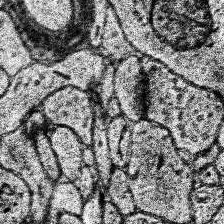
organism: Human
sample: Temporal Lobe